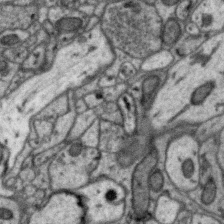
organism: Zebra finch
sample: Brain